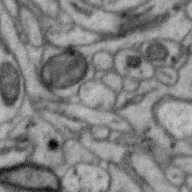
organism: Zebra finch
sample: Brain